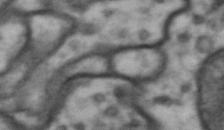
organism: Drosophila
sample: Brain